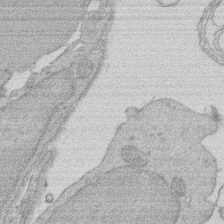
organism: Rat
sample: Salivary granule